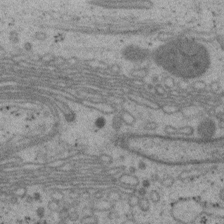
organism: Human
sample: HeLa cells